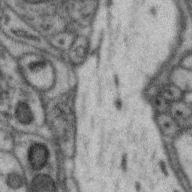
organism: Zebra finch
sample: Brain